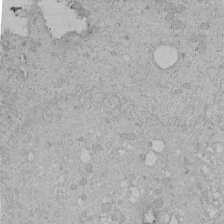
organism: Human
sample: Melanocyte Keratinocyte synapse skin construct